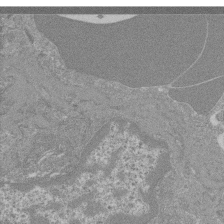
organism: Mouse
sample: Glomerulus